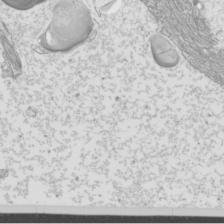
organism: Mouse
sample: Cilia; mouse epididymis